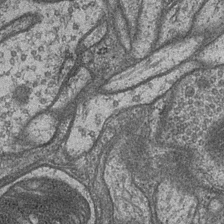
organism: Drosophila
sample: Optic medulla